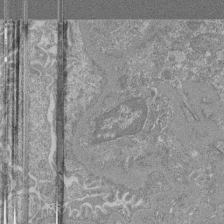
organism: Mouse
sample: Glomerulus